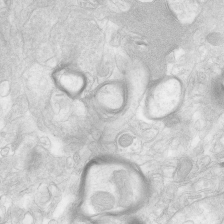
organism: Human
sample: Neocortex